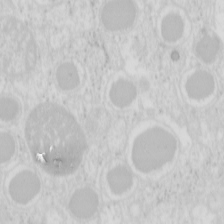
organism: Mouse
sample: Pancreas